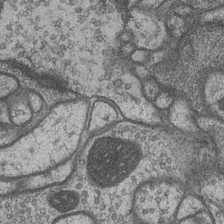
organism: Drosophila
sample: Optic medulla